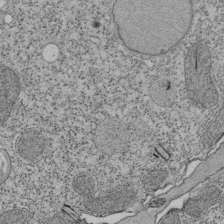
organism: Tetrahymena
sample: Cilia in tetrahymena